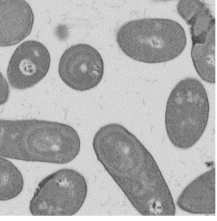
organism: B. subtilis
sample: Bacterial spore